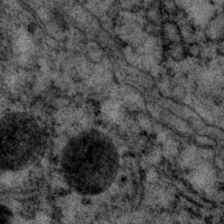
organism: P. pacificus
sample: Pharynx